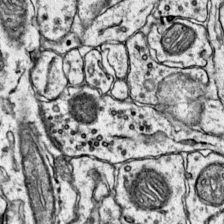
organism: Mouse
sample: Primary visual cortex